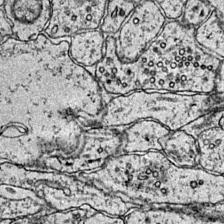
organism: Mouse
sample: Primary visual cortex